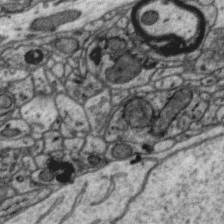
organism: Zebra finch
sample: Brain